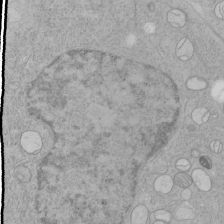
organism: Human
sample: Mitochondria in HCT116 cells